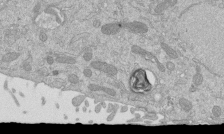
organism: Mouse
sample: ED-1 cell nuclei; centrioles